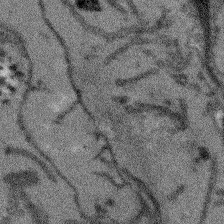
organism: Arabidopsis thaliana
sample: Root tip